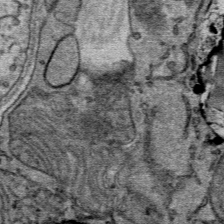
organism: Mouse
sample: Mouse Salivary gland